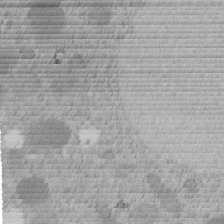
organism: C. elegans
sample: C. elegans embryo early stage